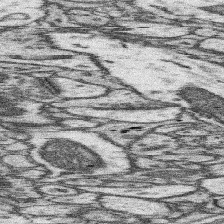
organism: Mouse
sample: Somatosensory cortex neuropil